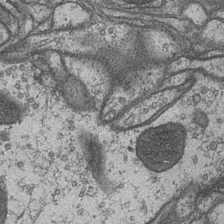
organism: Drosophila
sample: Optic medulla